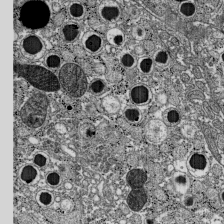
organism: C57BL Mouse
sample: Pancreatic islet